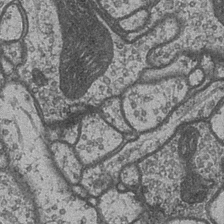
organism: Drosophila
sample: Optic medulla